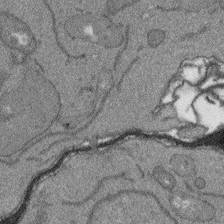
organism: Arabidopsis thaliana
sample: Root tip